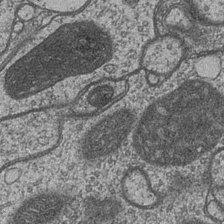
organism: Drosophila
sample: Optic medulla